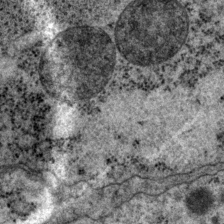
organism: P. pacificus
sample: Pharynx